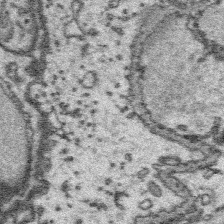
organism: Platynereis dumerilii